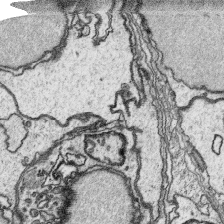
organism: Platynereis dumerilii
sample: Parapodia